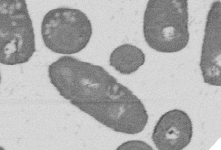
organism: B. subtilis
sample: Bacterial spore